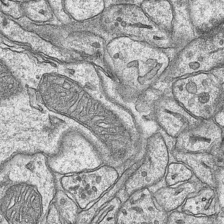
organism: Mouse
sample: CA1 Hippocampus